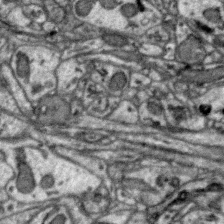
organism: Zebra finch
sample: Brain